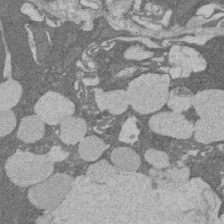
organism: Rat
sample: Salivary granule